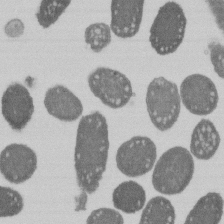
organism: E. coli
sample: Bacterial nucleoid